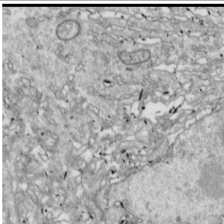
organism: Drosophila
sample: Cell division; meiosis; drosophila spermatocytes